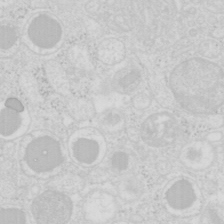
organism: Mouse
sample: Pancreas